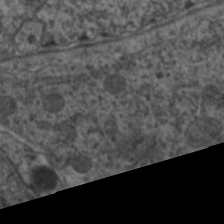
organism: C. elegans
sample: Pharynx